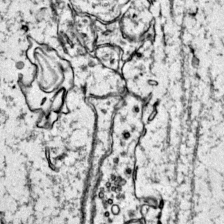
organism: Mouse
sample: Primary visual cortex